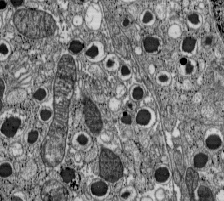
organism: C57BL Mouse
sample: Pancreatic islet